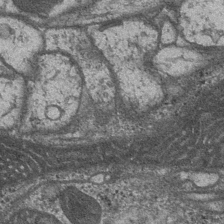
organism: Drosophila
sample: Optic medulla